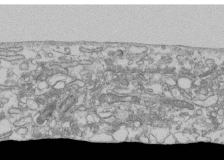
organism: Human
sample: Fibroblast cells